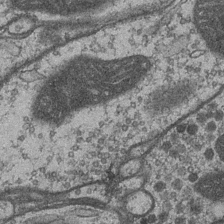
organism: Drosophila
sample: Optic medulla